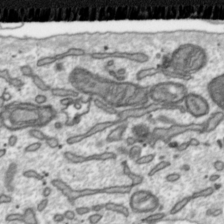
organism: Toxoplasma gondii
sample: Parasites in a vacuole inside a host cell